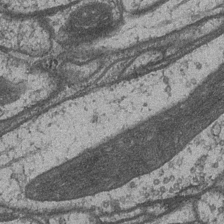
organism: Drosophila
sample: Optic medulla